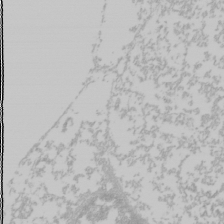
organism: Mouse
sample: Cancer cell death in ED-1 cells